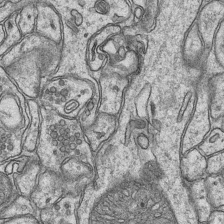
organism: Mouse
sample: CA1 Hippocampus